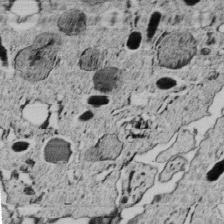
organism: C. elegans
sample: C. elegans embryo early stage